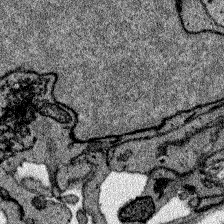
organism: Zebrafish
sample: Larval olfactory bulb